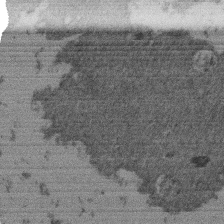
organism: Mouse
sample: Dividing mouse embryo 1 cell stage